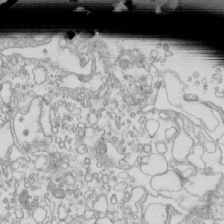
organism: Mouse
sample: Macrophages